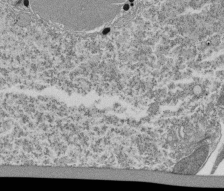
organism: Tetrahymena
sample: Cilia in tetrahymena